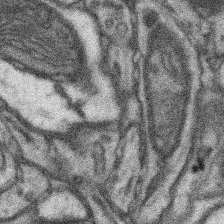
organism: Mouse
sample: Somatosensory cortex neuropil